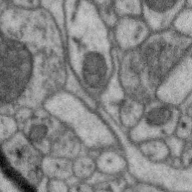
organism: Zebra finch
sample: Brain